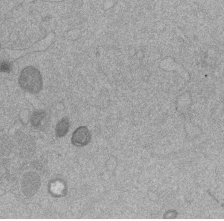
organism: Mouse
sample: Dividing mouse embryo 1 cell stage